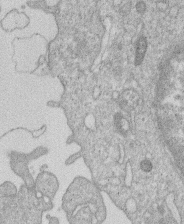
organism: Human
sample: Macrophage cells